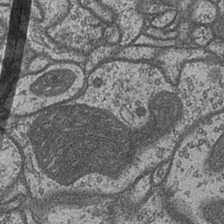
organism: Drosophila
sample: Optic medulla